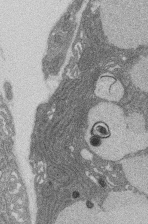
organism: Rat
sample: Salivary granule